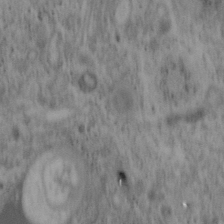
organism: Mouse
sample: OT-I killer T cells with ID8 ovarian cancer cells